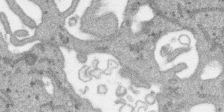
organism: Human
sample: Lung epithelial cells infected with SARS-CoV-2